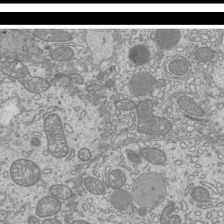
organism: Mouse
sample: Cilia; mouse epididymis